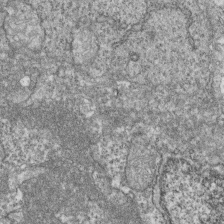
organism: Zebrafish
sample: Cilia; retinal pigment epithelium